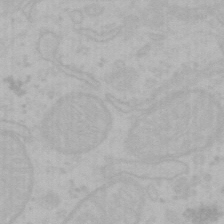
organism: Mouse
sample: Choroid plexus